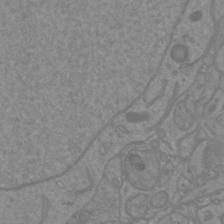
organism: Mouse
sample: Cortical neurons